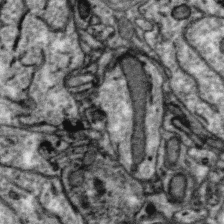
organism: Zebra finch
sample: Brain